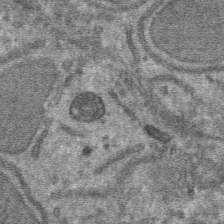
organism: Mouse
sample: Mouse hepatocytes